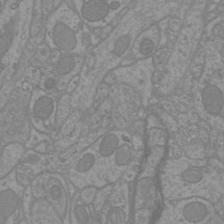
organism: Mouse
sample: Cortical neurons